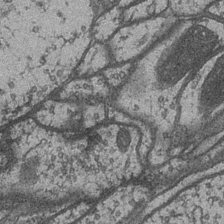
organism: Drosophila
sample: Optic medulla